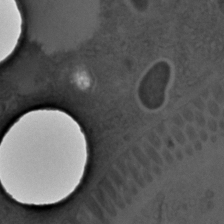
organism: C. elegans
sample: C. elegans embryo